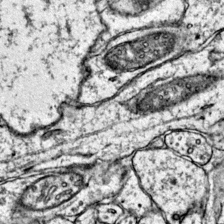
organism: Mouse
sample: Primary visual cortex